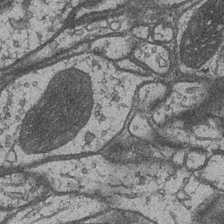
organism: Drosophila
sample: Optic medulla